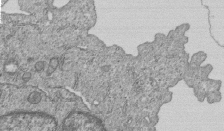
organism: Human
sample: MDA-MB-231 cells